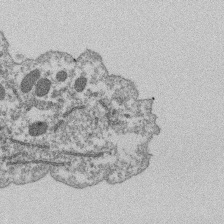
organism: Dictyostelium discoideum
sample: Dictyostelium multivesicular bodies